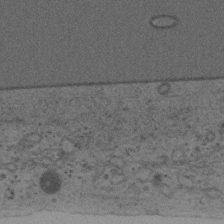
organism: Human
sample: HeLa cells